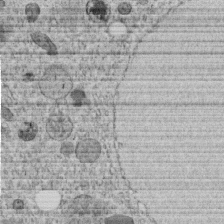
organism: C. elegans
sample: C. elegans embryo early stage